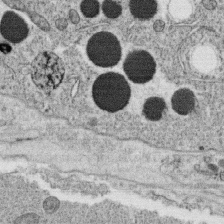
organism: C. elegans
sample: C. elegans oocyte; sperm cells